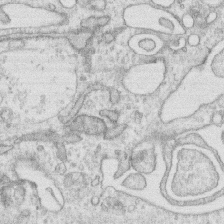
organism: Human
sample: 1205lu cells